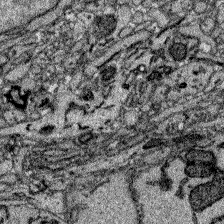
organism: Zebrafish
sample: Larval olfactory bulb